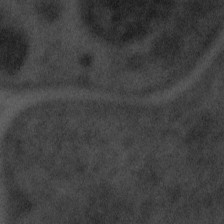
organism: Tuwongella immobilis